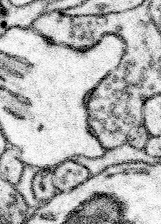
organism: Mouse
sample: Somatosensory cortex neuropil